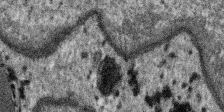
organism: Human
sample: Lung epithelial cells infected with SARS-CoV-2